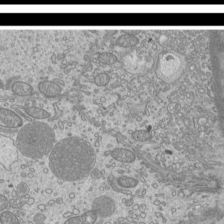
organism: Mouse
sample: Cilia; mouse epididymis